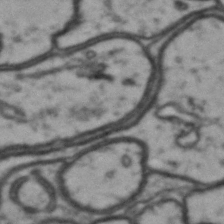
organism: Drosophila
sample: Brain